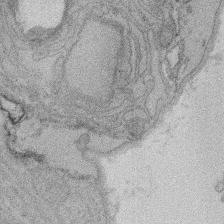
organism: Rat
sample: Salivary granule